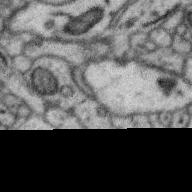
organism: Zebra finch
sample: Brain